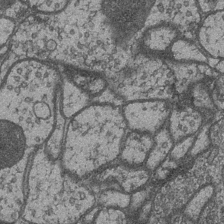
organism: Drosophila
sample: Optic medulla